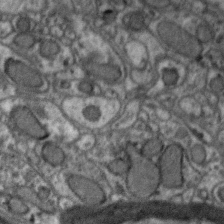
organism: Zebra finch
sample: Brain